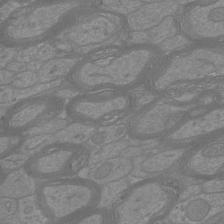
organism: Mouse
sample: Cortical neurons